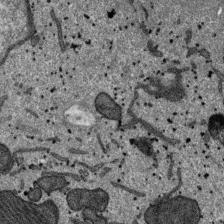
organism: Human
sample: Lung epithelial cells, uninfected (mock) control